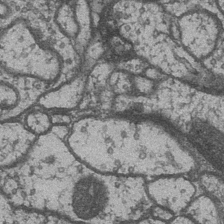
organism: Drosophila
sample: Optic medulla